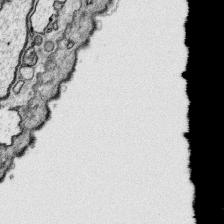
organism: Platynereis dumerilii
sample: Parapodia